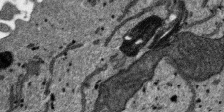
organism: Human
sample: Lung epithelial cells, uninfected (mock) control